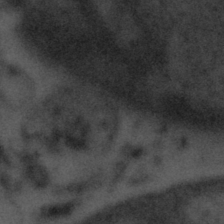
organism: Tuwongella immobilis